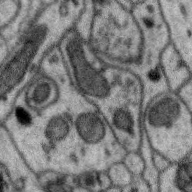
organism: Zebra finch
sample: Brain